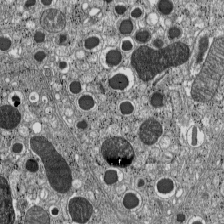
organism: C57BL Mouse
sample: Pancreatic islet